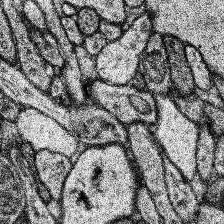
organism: Human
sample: Temporal Lobe